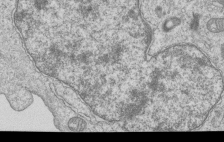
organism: Human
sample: MDA-MB-231 cells